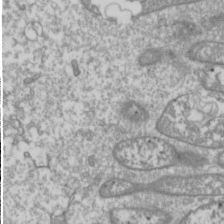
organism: Drosophila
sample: Cell division; meiosis; drosophila spermatocytes